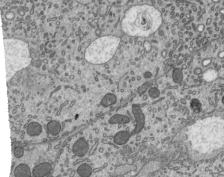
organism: Mouse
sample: Mouse epididymis efferent ductule cilia